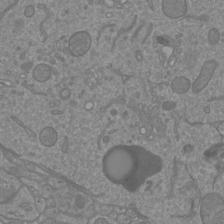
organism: Mouse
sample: Cortical neurons